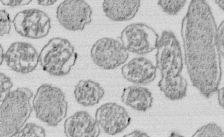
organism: E. coli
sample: Bacterial nucleoid